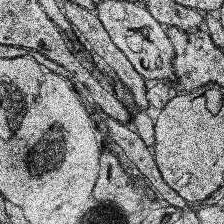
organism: Human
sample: Temporal Lobe